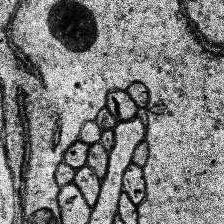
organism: Human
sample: Temporal Lobe